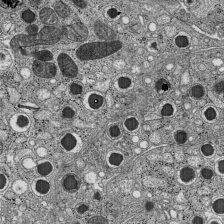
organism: C57BL Mouse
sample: Pancreatic islet